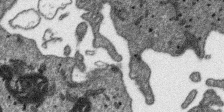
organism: Human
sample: Lung epithelial cells infected with SARS-CoV-2